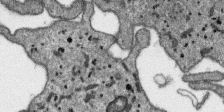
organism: Human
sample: Lung epithelial cells, uninfected (mock) control